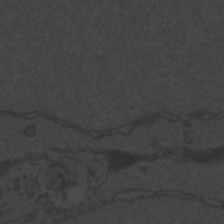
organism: Zebrafish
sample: Macrophage infected with Toxoplasma gondii